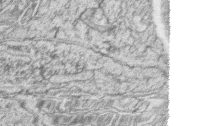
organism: Zebrafish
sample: synaptic ribbons in rod cells and cone cells